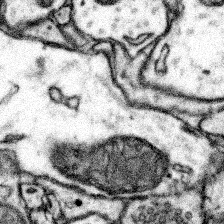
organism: Mouse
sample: Somatosensory cortex neuropil